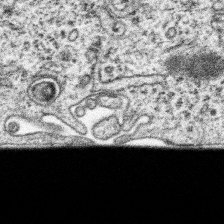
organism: Human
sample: HeLa cells